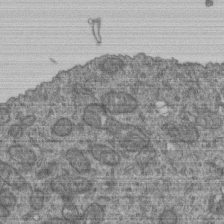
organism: Human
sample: Retinal organoid Rod and Cone cells